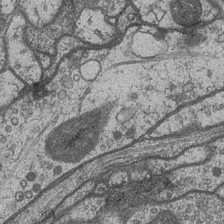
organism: Drosophila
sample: Optic medulla